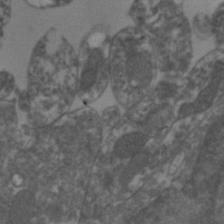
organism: Zebrafish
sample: Zebrafish embryo